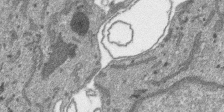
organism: Human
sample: Lung epithelial cells infected with SARS-CoV-2